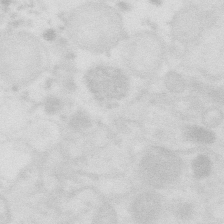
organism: Human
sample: HeLa cells